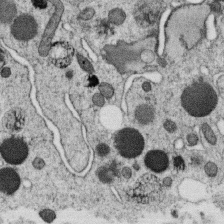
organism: C. elegans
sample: C. elegans oocyte; sperm cells